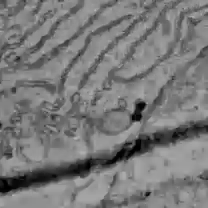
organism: C57BL Mouse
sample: Liver